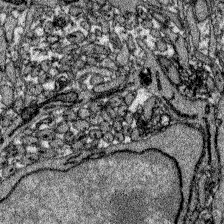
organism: Zebrafish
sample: Larval olfactory bulb